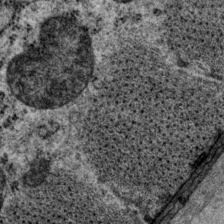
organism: P. pacificus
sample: Pharynx